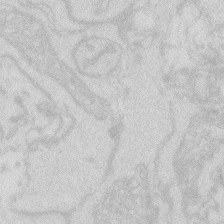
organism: Zebrafish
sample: Macrophage